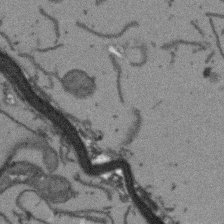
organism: Arabidopsis thaliana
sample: Root tip